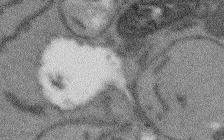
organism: Arabidopsis thaliana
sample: Root tip